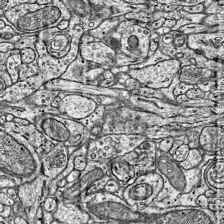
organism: Mouse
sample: Visual Cortex